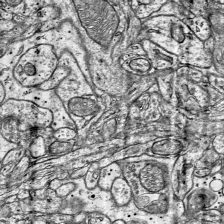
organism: Mouse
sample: Visual Cortex